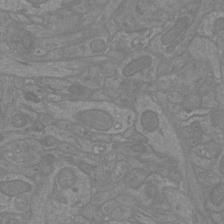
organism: Mouse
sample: Cortical neurons